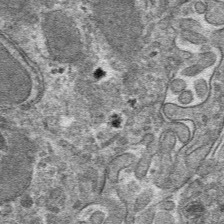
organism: Mouse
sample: Mouse hepatocytes